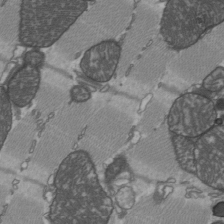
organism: C57BL Mouse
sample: Heart